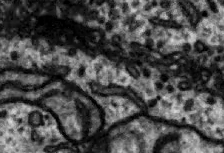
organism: Human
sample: HeLa cells